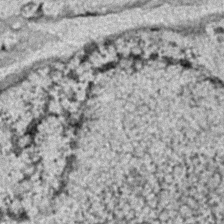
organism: C. elegans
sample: C. elegans embryo